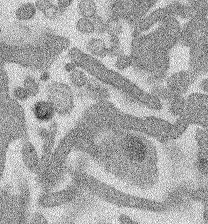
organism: Human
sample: HeLa cells